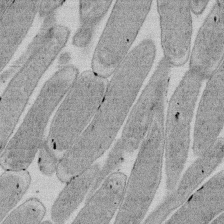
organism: E. coli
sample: Bacterial nucleoid